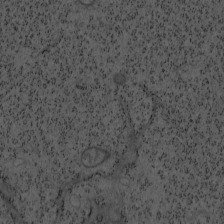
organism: Mouse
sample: OT-I killer T cells with ID8 ovarian cancer cells